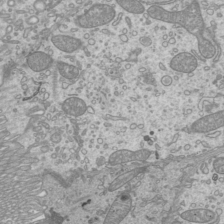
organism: Mouse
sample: Cilia; mouse epididymis